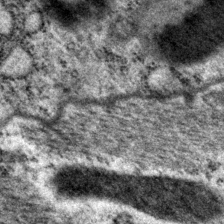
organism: P. pacificus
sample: Pharynx